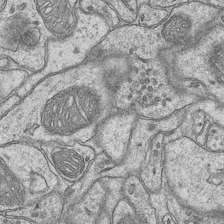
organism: Mouse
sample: CA1 Hippocampus